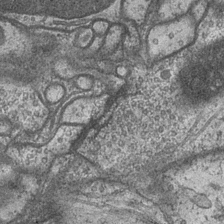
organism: Drosophila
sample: Optic medulla